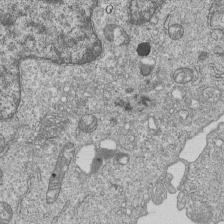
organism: Human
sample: MDA-MB-231 cells